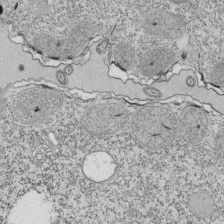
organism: Tetrahymena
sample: Cilia in tetrahymena